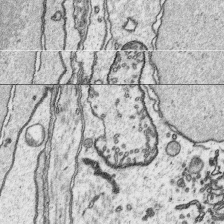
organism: Platynereis dumerilii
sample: Parapodia